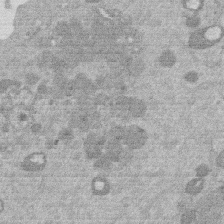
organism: Mouse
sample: Dividing mouse embryo 1 cell stage